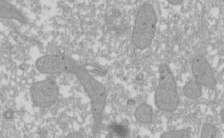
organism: Xenopus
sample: Cilia; centrioles in frog embryo cells